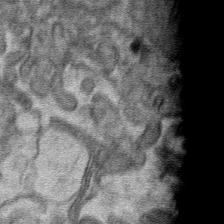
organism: Mouse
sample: Mouse hepatocytes